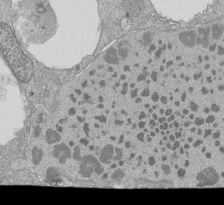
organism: Tetrahymena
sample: Cilia in tetrahymena